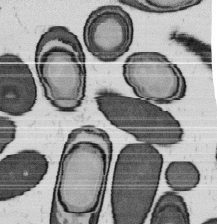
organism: B. subtilis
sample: Bacterial spore